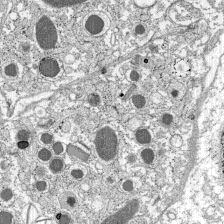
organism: C57BL Mouse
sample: Pancreatic islet